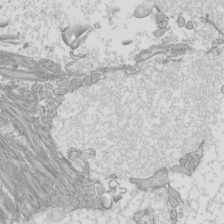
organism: Mouse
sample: Cilia; mouse epididymis